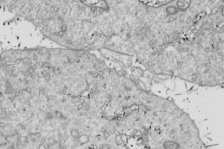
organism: Drosophila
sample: Cell division; meiosis; drosophila spermatocytes